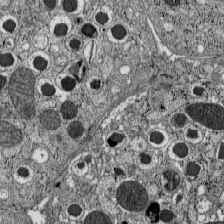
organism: C57BL Mouse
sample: Pancreatic islet